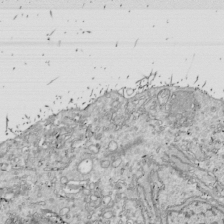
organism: Drosophila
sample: Cell division; meiosis; drosophila spermatocytes